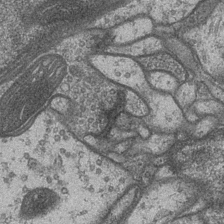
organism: Drosophila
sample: Optic medulla